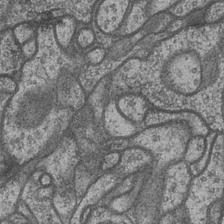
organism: Drosophila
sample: Optic medulla